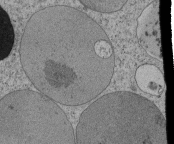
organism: Tetrahymena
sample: Cilia in tetrahymena